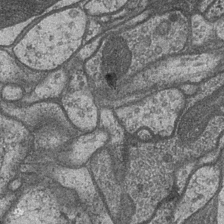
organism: Drosophila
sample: Optic medulla